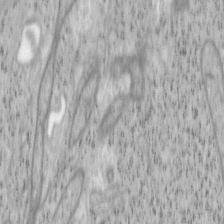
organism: Human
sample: HeLa cells